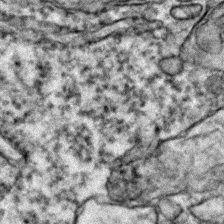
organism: Zebrafish